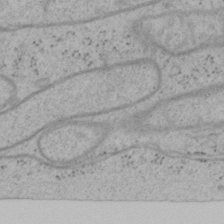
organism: Human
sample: HeLa cells